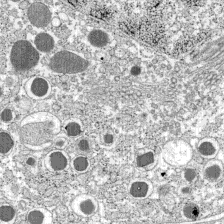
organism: C57BL Mouse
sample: Pancreatic islet